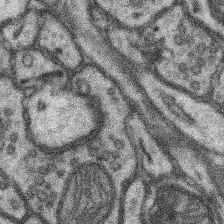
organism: Mouse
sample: Somatosensory cortex neuropil